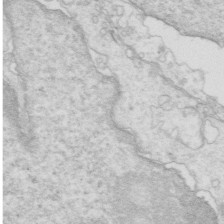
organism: Mouse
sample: Multiciliated cells